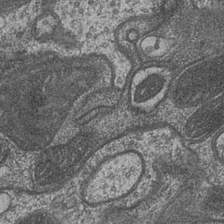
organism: Drosophila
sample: Optic medulla